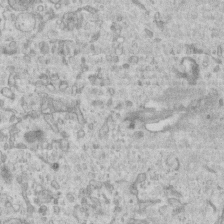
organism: Mouse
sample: Centriole in ependymal cells